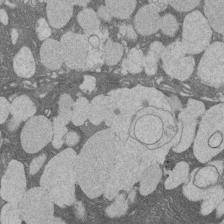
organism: Rat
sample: Salivary granule